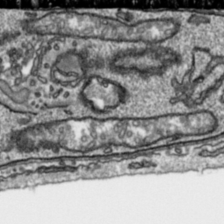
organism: Toxoplasma gondii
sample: Parasites in a vacuole inside a host cell